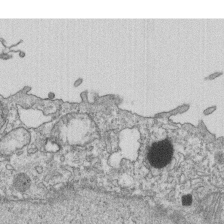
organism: Human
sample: HeLa cell HIV synapse